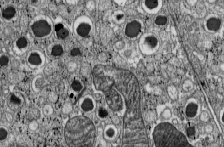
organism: C57BL Mouse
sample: Pancreatic islet